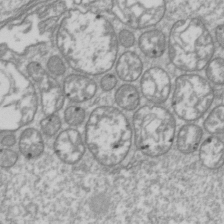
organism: Drosophila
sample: Cell division; meiosis; drosophila spermatocytes